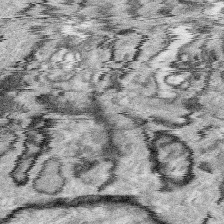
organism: Human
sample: HeLa cells